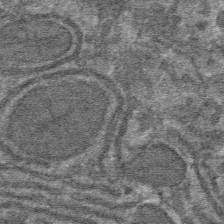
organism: Mouse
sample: Mouse hepatocytes